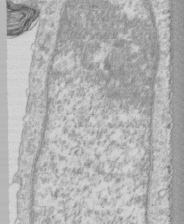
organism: Human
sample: CRL-1474